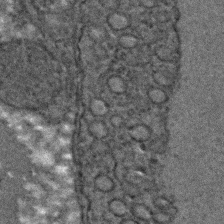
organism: C. elegans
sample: C. elegans embryo